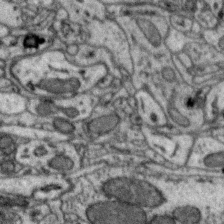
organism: Zebra finch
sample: Brain